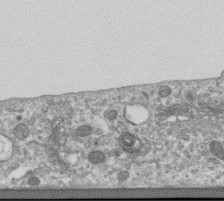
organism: Human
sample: Centriole in RPE cells